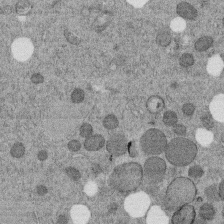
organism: C. elegans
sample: C. elegans embryo early stage